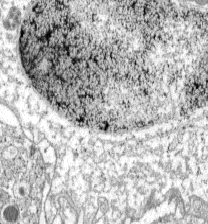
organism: C57BL Mouse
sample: Pancreatic islet